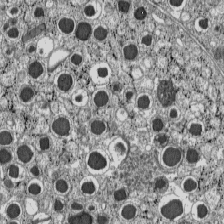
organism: C57BL Mouse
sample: Pancreatic islet